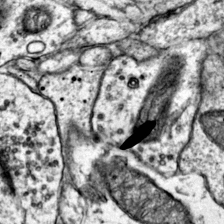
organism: Mouse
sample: Primary visual cortex